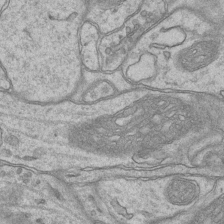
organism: Mouse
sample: CA1 Hippocampus